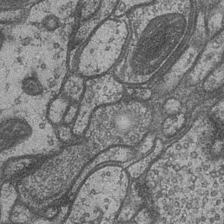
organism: Drosophila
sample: Optic medulla